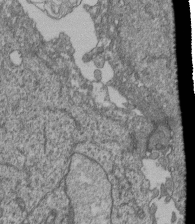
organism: Human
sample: Retinal organoid Rod and Cone cells